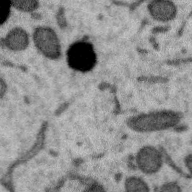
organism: Zebra finch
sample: Brain